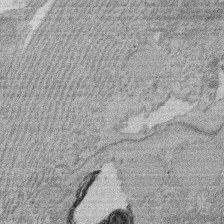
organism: Rat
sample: Salivary granule